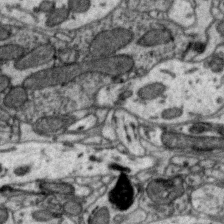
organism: Zebra finch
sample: Brain